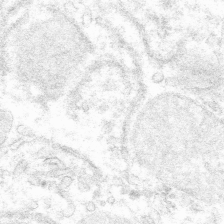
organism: Mouse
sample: Mouse hepatocytes